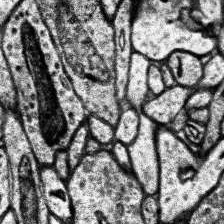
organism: Human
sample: Temporal Lobe